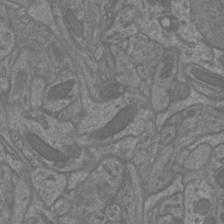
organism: Mouse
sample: Cortical neurons